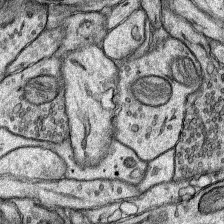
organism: Rat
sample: Hippocampus